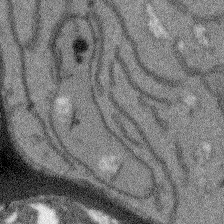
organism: Arabidopsis thaliana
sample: Root tip